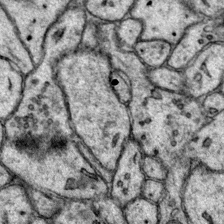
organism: Mouse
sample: Primary visual cortex